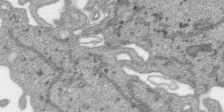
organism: Human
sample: Lung epithelial cells infected with SARS-CoV-2